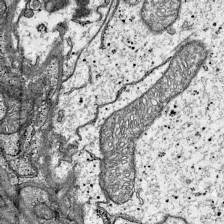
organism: Mouse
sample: Visual Cortex